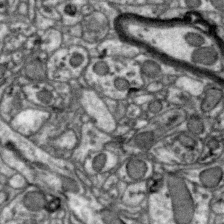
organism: Zebra finch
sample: Brain